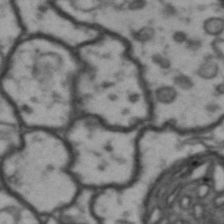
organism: Drosophila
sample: Brain